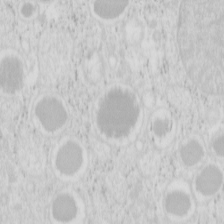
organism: Mouse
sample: Pancreas